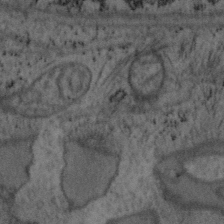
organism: Human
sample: HeLa cells